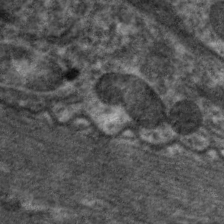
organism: C. elegans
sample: Pharynx